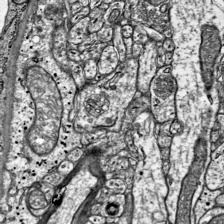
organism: Mouse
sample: Visual Cortex